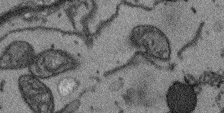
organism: Arabidopsis thaliana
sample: Root tip